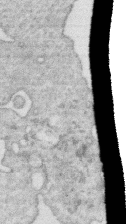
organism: Human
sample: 1205lu cells